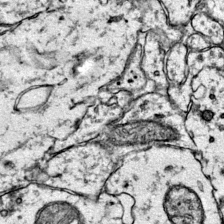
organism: Mouse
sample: Primary visual cortex